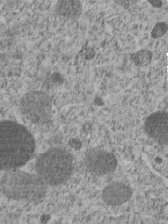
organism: C. elegans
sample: C. elegans embryo early stage